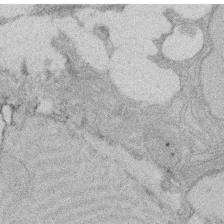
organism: Rat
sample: Salivary granule